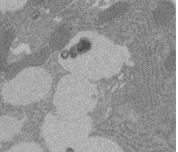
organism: Rat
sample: Salivary granule